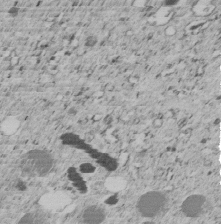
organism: C. elegans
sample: C. elegans embryo early stage